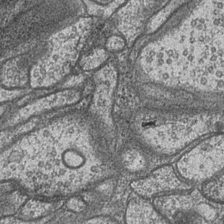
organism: Drosophila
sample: Optic medulla